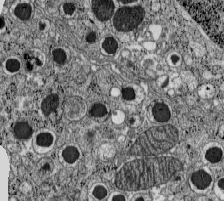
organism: C57BL Mouse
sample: Pancreatic islet